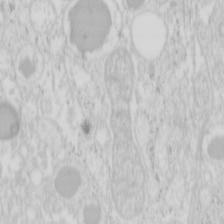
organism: Mouse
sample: Pancreas